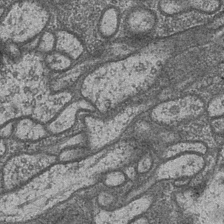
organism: Drosophila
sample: Optic medulla